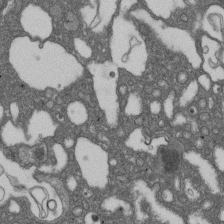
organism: Drosophila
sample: Nephrocyte